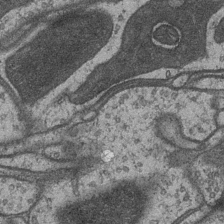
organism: Drosophila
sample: Optic medulla